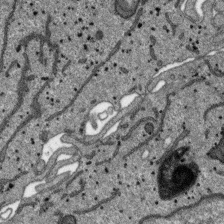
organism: Human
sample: Lung epithelial cells, uninfected (mock) control